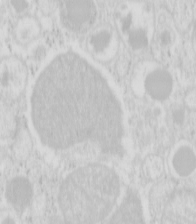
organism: Mouse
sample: Pancreas